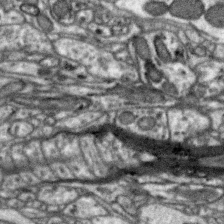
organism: Zebra finch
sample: Brain